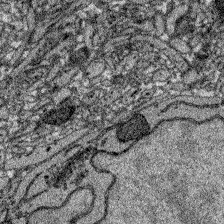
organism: Zebrafish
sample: Larval olfactory bulb